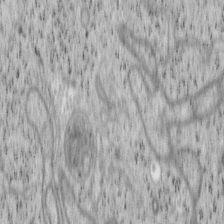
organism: Human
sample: HeLa cells